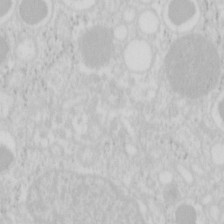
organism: Mouse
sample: Pancreas